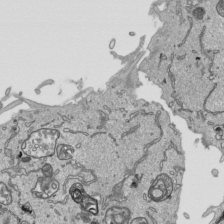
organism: Human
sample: Mitochondria in HCT116 cells